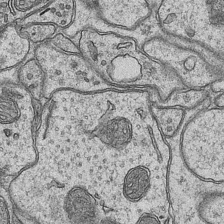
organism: Mouse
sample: CA1 Hippocampus